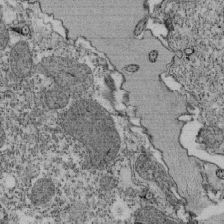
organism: Tetrahymena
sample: Cilia in tetrahymena